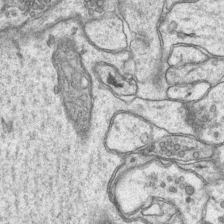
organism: Mouse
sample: CA1 Hippocampus